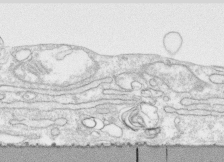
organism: Human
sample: CRL-1474